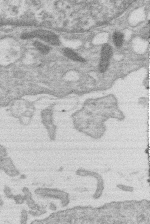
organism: Human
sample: Macrophage cells